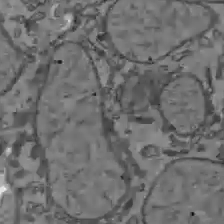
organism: C57BL Mouse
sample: Liver